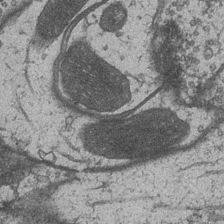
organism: Drosophila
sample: Optic medulla